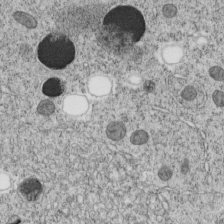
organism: C. elegans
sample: C. elegans embryo early stage